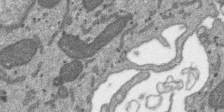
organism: Human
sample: Lung epithelial cells infected with SARS-CoV-2